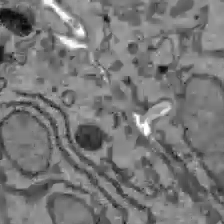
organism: C57BL Mouse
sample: Liver